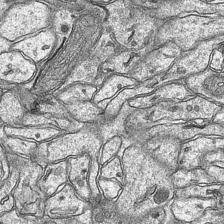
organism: Mouse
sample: CA1 Hippocampus